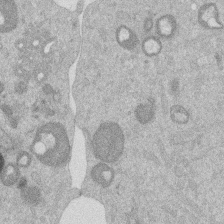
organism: Mouse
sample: Dividing mouse embryo 1 cell stage